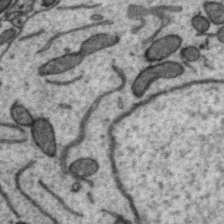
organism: Zebra finch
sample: Brain